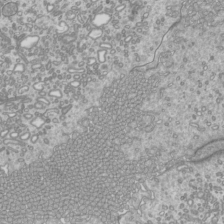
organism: Mouse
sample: Cilia; mouse epididymis